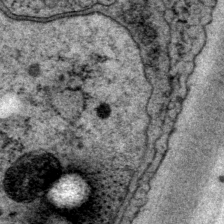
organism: P. pacificus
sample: Pharynx